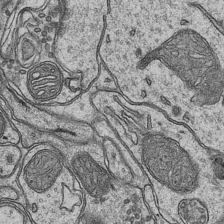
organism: Mouse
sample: CA1 Hippocampus